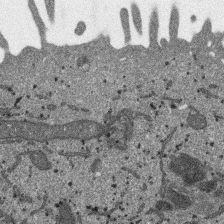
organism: Human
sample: Lung epithelial cells infected with SARS-CoV-2